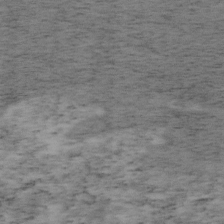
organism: Mouse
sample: OT-I killer T cells with ID8 ovarian cancer cells